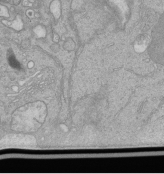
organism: Human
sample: Retinal organoid Rod and Cone cells